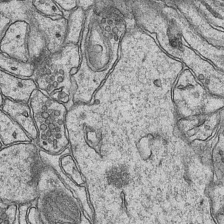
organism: Mouse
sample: CA1 Hippocampus